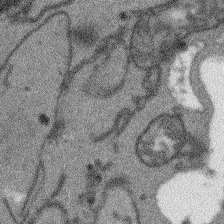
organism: Arabidopsis thaliana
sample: Root tip